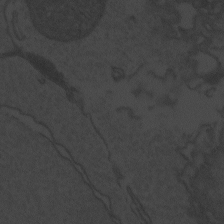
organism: Zebrafish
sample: Macrophage infected with Toxoplasma gondii